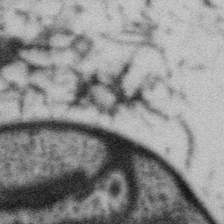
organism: Gemmata obscuriglobus